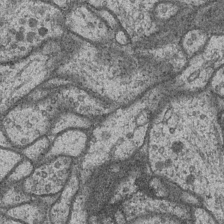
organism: Drosophila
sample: Optic medulla